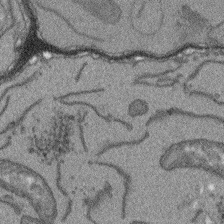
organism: Arabidopsis thaliana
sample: Root tip